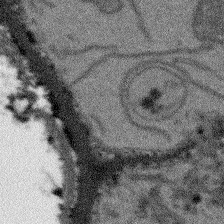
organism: Arabidopsis thaliana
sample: Root tip